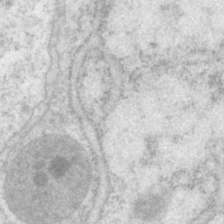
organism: P. pacificus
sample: Pharynx